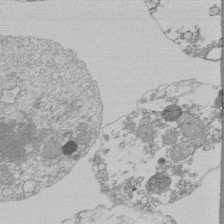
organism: Mouse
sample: Activated Pmel transgenic CD8+ T Cells